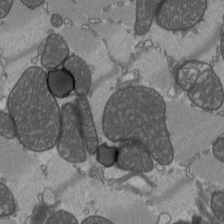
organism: C57BL Mouse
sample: Heart